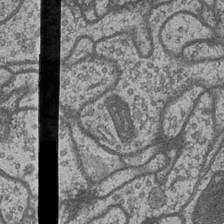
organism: Drosophila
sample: Optic medulla